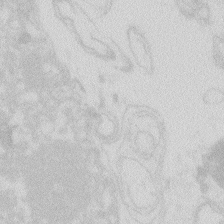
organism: Zebrafish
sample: Macrophage